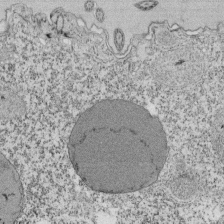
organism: Tetrahymena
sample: Cilia in tetrahymena